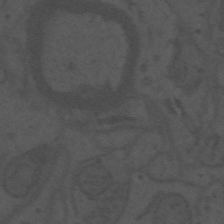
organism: Mouse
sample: Suprachiasmatic nucleus